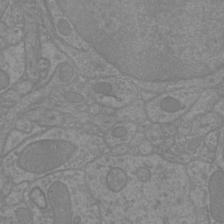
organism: Mouse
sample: Cortical neurons